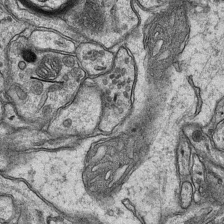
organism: Mouse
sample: CA1 Hippocampus